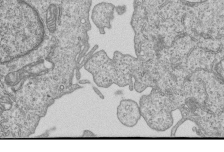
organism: Human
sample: MDA-MB-231 cells